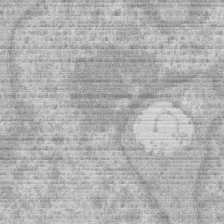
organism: Human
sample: Macrophage cells